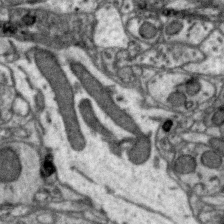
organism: Zebra finch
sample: Brain